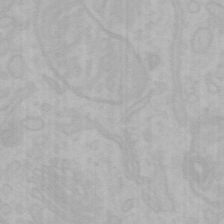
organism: Mouse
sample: Choroid plexus